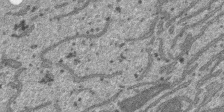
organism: Human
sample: Lung epithelial cells infected with SARS-CoV-2